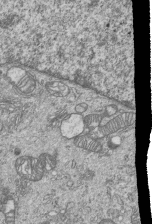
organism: Human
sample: MDA-MB-231 cells